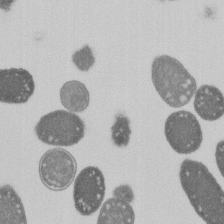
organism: E. coli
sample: Bacterial nucleoid